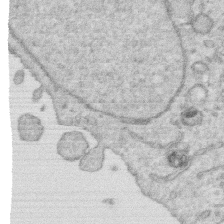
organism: Human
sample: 1205lu cells